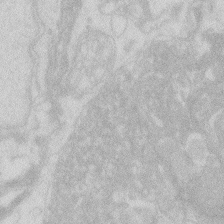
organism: Zebrafish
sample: Macrophage